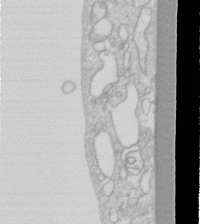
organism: Human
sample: Fibroblast cells